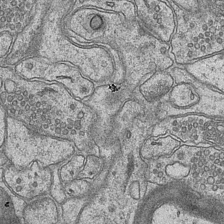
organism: Mouse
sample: CA1 Hippocampus